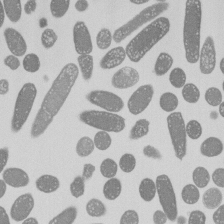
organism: E. coli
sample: Bacterial nucleoid